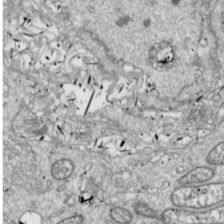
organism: Drosophila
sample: Cell division; meiosis; drosophila spermatocytes